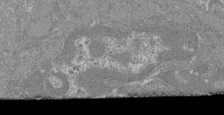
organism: Mouse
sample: Glomerulus